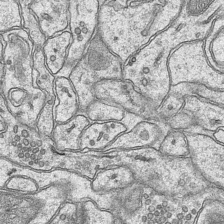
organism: Mouse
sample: CA1 Hippocampus